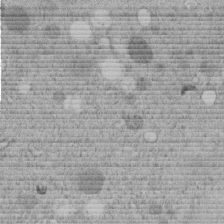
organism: C. elegans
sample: C. elegans embryo early stage